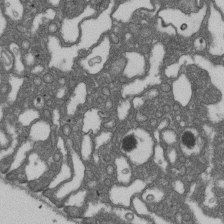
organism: Drosophila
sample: Nephrocyte